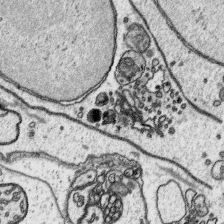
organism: Platynereis dumerilii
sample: Parapodia